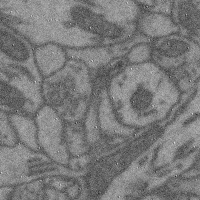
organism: Mouse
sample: Cerebral cortex